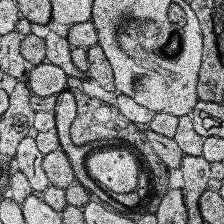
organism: Human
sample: Temporal Lobe